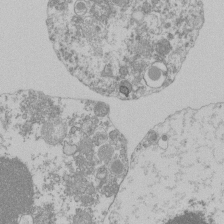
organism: Mouse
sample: Activated Pmel transgenic CD8+ T Cells